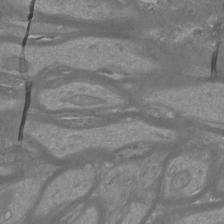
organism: Mouse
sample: Cortical neurons